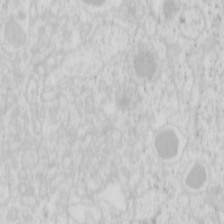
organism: Mouse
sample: Pancreas